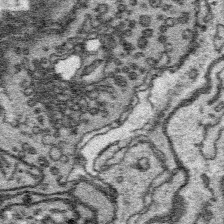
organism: Platynereis dumerilii